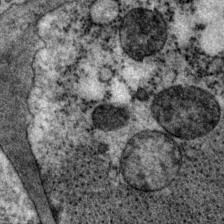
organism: P. pacificus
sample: Pharynx